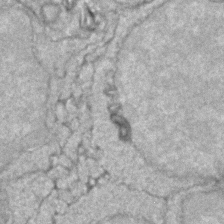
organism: Zebrafish